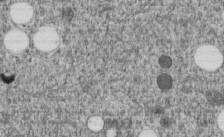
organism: C. elegans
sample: C. elegans embryo early stage